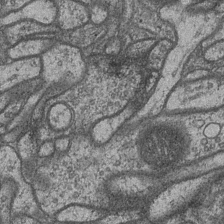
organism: Drosophila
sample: Optic medulla